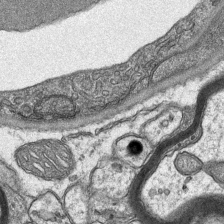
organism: Mouse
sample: CA1 Hippocampus